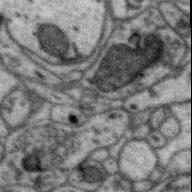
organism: Zebra finch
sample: Brain